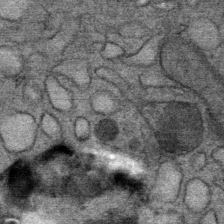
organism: Mouse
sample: Mouse Salivary gland